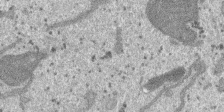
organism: Human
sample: Lung epithelial cells infected with SARS-CoV-2